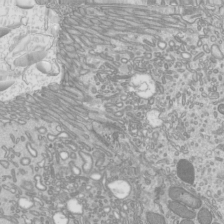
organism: Mouse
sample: Cilia; mouse epididymis